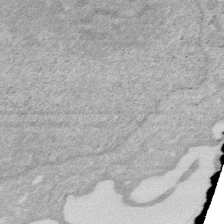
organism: Human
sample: HIV infected U937 cells